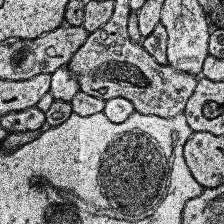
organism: Human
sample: Temporal Lobe